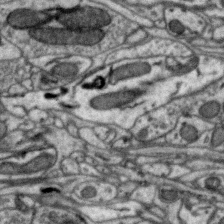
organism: Zebra finch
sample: Brain